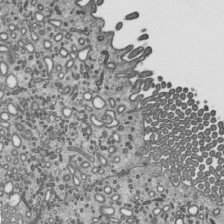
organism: Mouse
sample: Mouse epididymis efferent ductule cilia